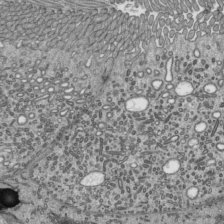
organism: Mouse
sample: Mouse epididymis efferent ductule cilia